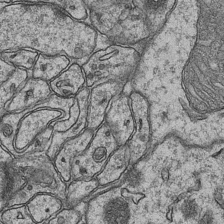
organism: Mouse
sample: CA1 Hippocampus